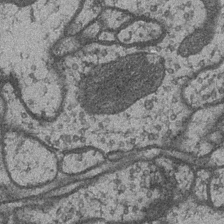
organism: Drosophila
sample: Optic medulla